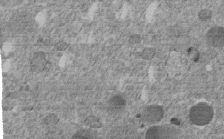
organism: C. elegans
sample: C. elegans embryo early stage